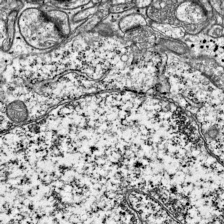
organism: Mouse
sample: Visual Cortex